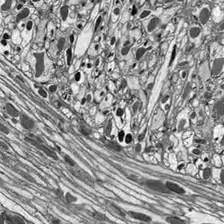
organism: Drosophila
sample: Optic lobe